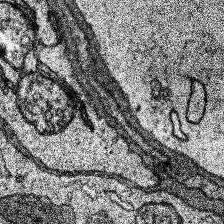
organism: Human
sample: Temporal Lobe